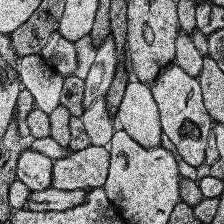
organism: Human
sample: Temporal Lobe